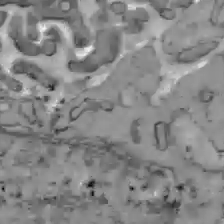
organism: C57BL Mouse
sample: Liver